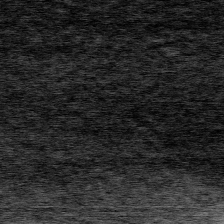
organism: Human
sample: HeLa cells